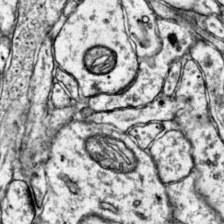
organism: Mouse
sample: Primary visual cortex